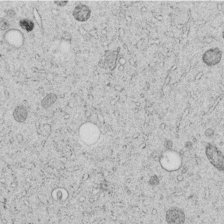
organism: C. elegans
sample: C. elegans embryo early stage